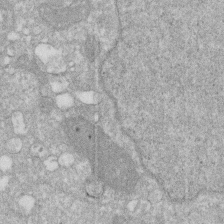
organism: Human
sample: HIV infected U937 cells